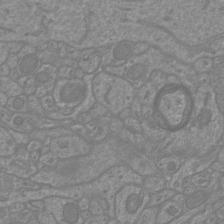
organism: Mouse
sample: Cortical neurons